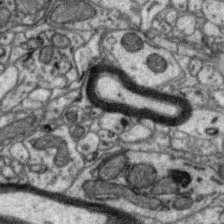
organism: Zebra finch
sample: Brain